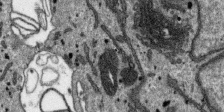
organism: Human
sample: Lung epithelial cells, uninfected (mock) control